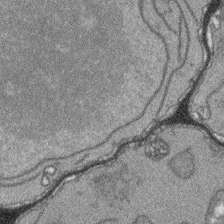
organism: Arabidopsis thaliana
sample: Root tip